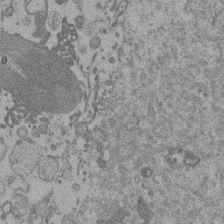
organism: Mouse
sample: Dividing mouse embryo 1 cell stage